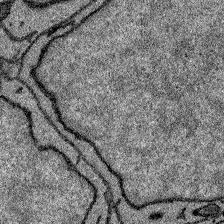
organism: Zebrafish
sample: Larval olfactory bulb